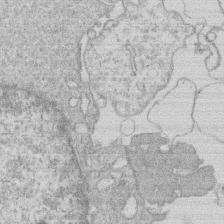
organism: Human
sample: Macrophage cells